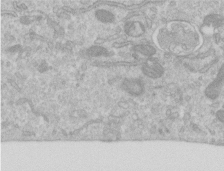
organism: Human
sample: Centriole in RPE cells